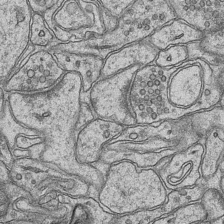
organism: Mouse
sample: CA1 Hippocampus